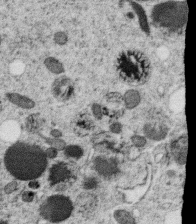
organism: C. elegans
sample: C. elegans oocyte; sperm cells